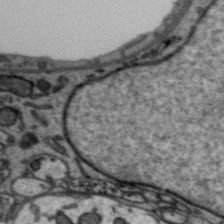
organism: Zebra finch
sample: Brain